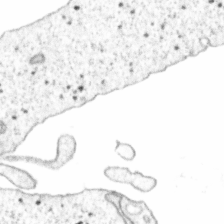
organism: Human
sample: HeLa cells